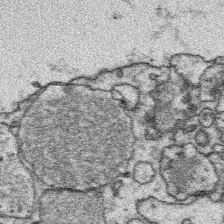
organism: Platynereis dumerilii